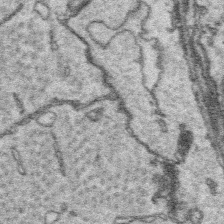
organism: Platynereis dumerilii